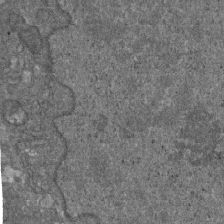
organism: Drosophila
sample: Nephrocyte